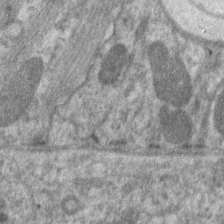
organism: C. elegans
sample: Pharynx